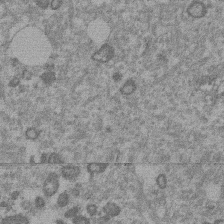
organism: Mouse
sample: Dividing mouse embryo 1 cell stage